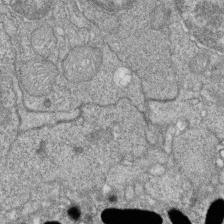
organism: Zebrafish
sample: Cilia; retinal pigment epithelium